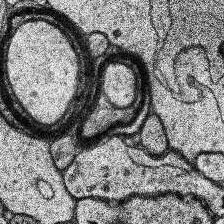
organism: Human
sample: Temporal Lobe